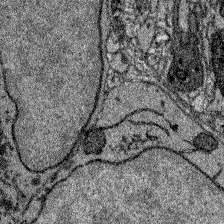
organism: Zebrafish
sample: Larval olfactory bulb